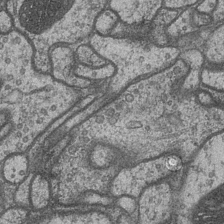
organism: Drosophila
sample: Optic medulla